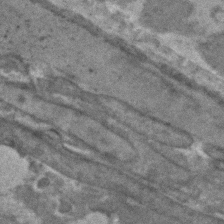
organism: C. elegans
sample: C. elegans embryo